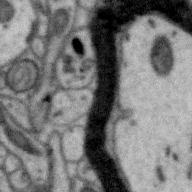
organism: Zebra finch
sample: Brain